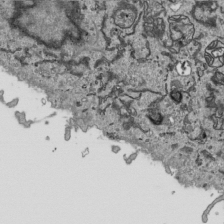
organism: Human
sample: Mitochondria in HCT116 cells